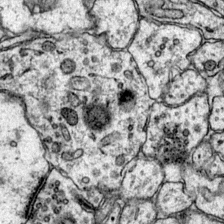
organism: Mouse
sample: Primary visual cortex